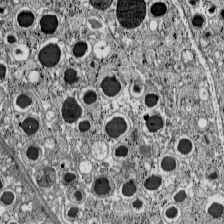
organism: C57BL Mouse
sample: Pancreatic islet